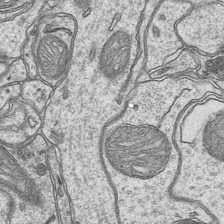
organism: Mouse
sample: CA1 Hippocampus